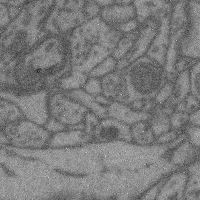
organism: Mouse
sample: Cerebral cortex